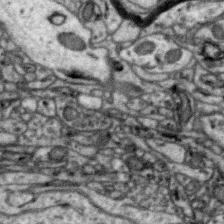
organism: Zebra finch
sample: Brain